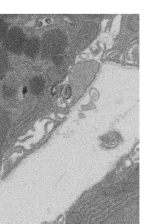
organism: Rat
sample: Salivary granule